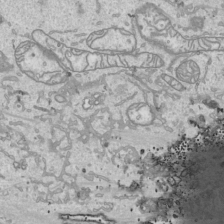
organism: Human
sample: Mitochondria in HCT116 cells